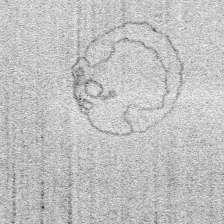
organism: Human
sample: Lung epithelial cells, uninfected (mock) control